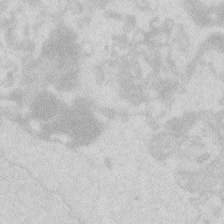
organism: Zebrafish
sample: Macrophage